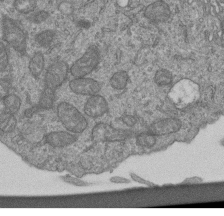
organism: Human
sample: Retinal organoid Rod and Cone cells